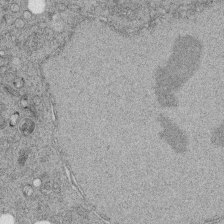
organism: C. elegans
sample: C. elegans embryo early stage